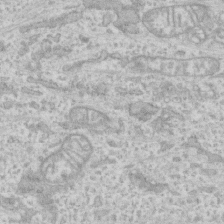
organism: Human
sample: CRL-1474